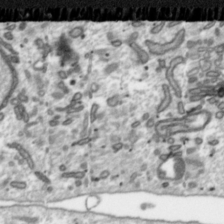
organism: Toxoplasma gondii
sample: Parasites in a vacuole inside a host cell